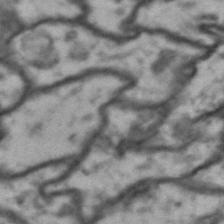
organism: Drosophila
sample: Brain